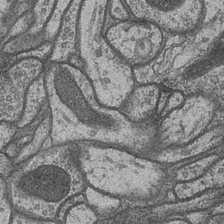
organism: Drosophila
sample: Optic medulla